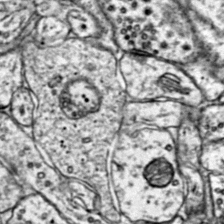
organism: Mouse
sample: Primary visual cortex